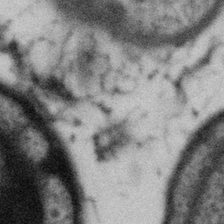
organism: Gemmata obscuriglobus